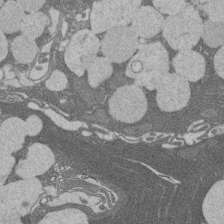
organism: Rat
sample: Salivary granule